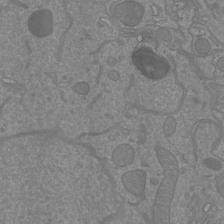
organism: Mouse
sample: Cortical neurons